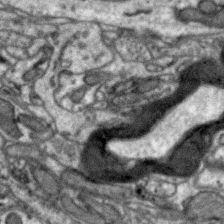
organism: Zebra finch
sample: Brain